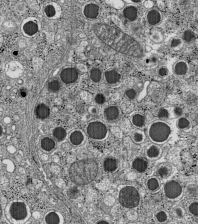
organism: C57BL Mouse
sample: Pancreatic islet